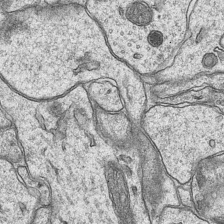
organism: Mouse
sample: CA1 Hippocampus